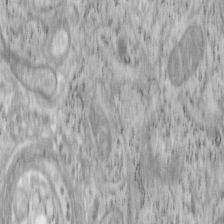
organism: Human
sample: HeLa cells